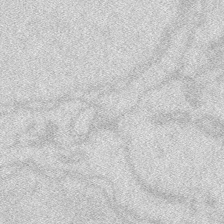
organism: Zebrafish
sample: Macrophage